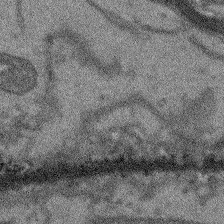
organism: Arabidopsis thaliana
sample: Root tip